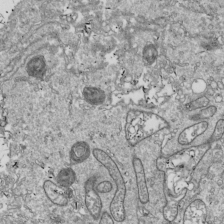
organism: Drosophila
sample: Cell division; meiosis; drosophila spermatocytes